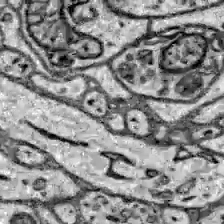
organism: Zebrafish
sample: Brain